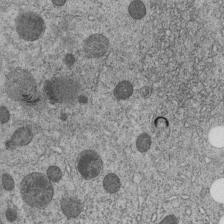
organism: C. elegans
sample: C. elegans embryo early stage